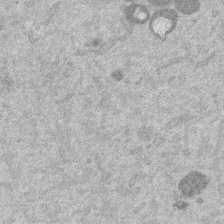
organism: Mouse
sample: Dividing mouse embryo 1 cell stage